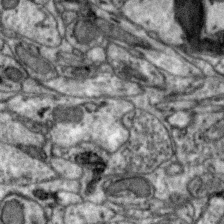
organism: Zebra finch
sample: Brain